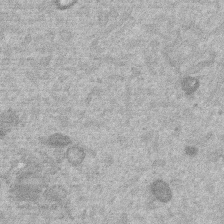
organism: Mouse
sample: Dividing mouse embryo 1 cell stage